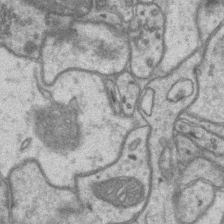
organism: Mouse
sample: CA1 Hippocampus